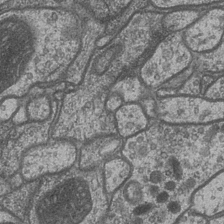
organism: Drosophila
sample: Optic medulla